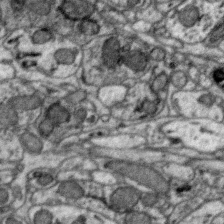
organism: Zebra finch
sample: Brain